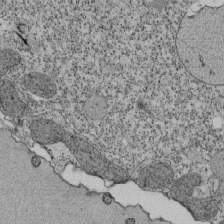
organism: Tetrahymena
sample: Cilia in tetrahymena